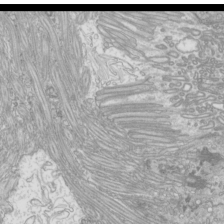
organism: Mouse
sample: Cilia; mouse epididymis